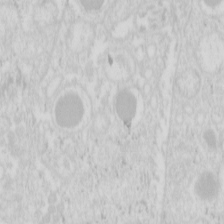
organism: Mouse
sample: Pancreas